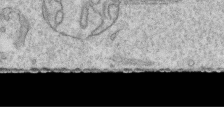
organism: Human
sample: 1205lu cells